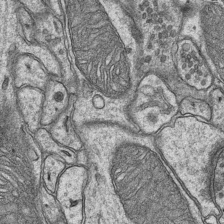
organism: Mouse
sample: CA1 Hippocampus